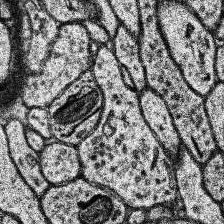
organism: Human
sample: Temporal Lobe